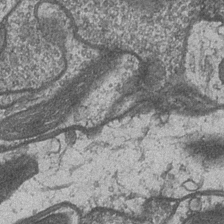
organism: Drosophila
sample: Optic medulla